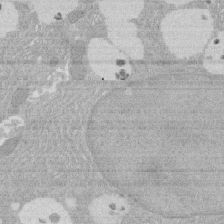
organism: Rat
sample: Salivary granule